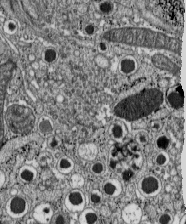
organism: C57BL Mouse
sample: Pancreatic islet